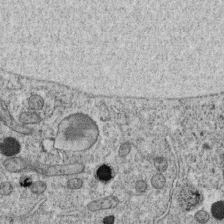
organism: C. elegans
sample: C. elegans oocyte; sperm cells